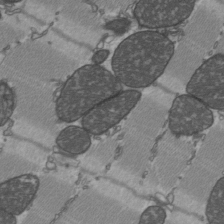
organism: C57BL Mouse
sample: Heart